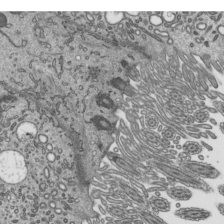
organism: Mouse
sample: Mouse epididymis efferent ductule cilia